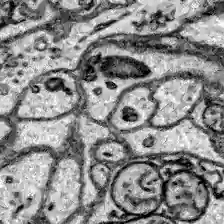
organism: Zebrafish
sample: Brain